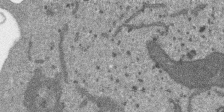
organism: Human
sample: Lung epithelial cells infected with SARS-CoV-2